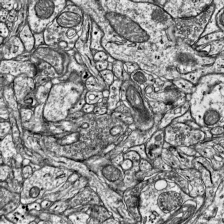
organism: Mouse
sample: Visual Cortex